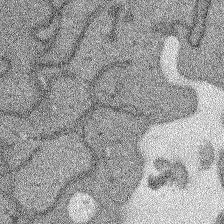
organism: Human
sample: HeLa cells